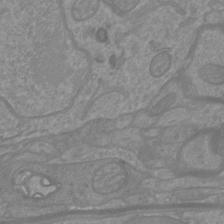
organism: Mouse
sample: Cortical neurons